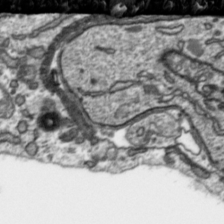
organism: Toxoplasma gondii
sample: Parasites in a vacuole inside a host cell